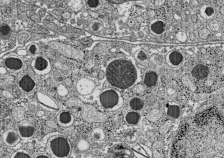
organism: C57BL Mouse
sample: Pancreatic islet